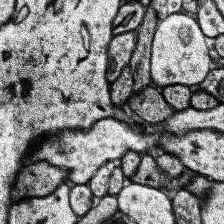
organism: Human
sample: Temporal Lobe